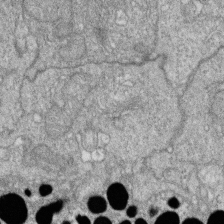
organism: Zebrafish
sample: Cilia; retinal pigment epithelium